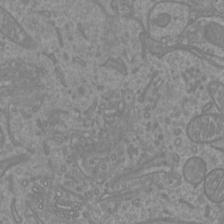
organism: Mouse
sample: Cortical neurons